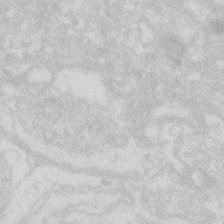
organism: Zebrafish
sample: Macrophage